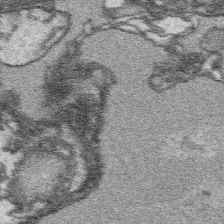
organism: Platynereis dumerilii